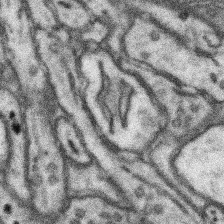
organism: Mouse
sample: Somatosensory cortex neuropil